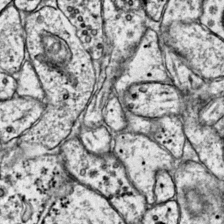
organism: Mouse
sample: Primary visual cortex